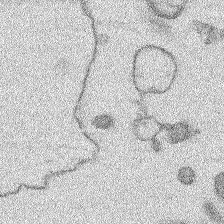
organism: Human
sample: HeLa cells